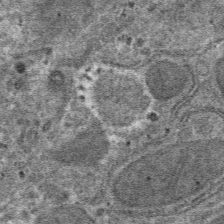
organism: Mouse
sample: Mouse hepatocytes